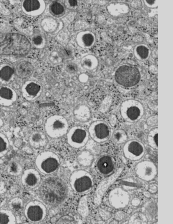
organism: C57BL Mouse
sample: Pancreatic islet